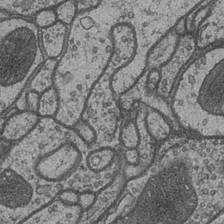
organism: Drosophila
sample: Optic medulla